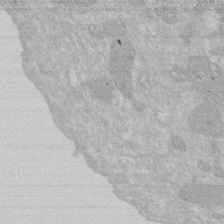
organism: Human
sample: HIV infected U937 cells